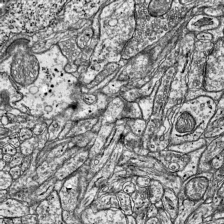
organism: Mouse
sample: Visual Cortex